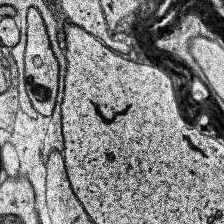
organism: Human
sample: Temporal Lobe